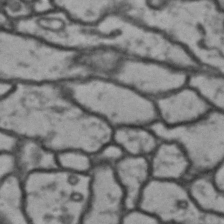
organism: Drosophila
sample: Brain